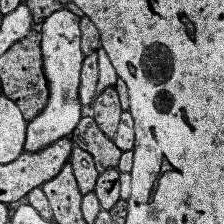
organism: Human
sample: Temporal Lobe